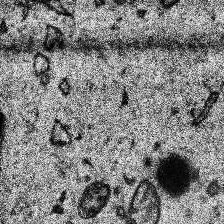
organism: Human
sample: Temporal Lobe